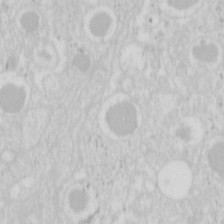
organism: Mouse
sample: Pancreas